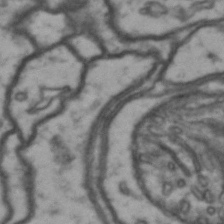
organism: Drosophila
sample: Brain